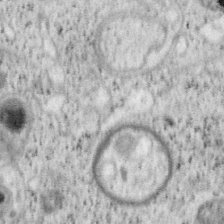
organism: Mouse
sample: OT-I killer T cells with ID8 ovarian cancer cells